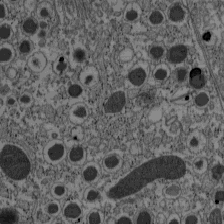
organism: C57BL Mouse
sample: Pancreatic islet